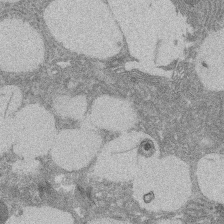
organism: Rat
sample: Salivary granule